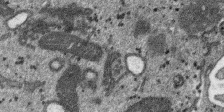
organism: Human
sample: Lung epithelial cells infected with SARS-CoV-2